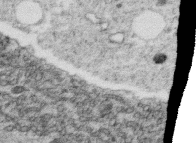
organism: C. elegans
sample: C. elegans oocyte; sperm cells